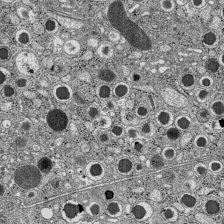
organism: C57BL Mouse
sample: Pancreatic islet